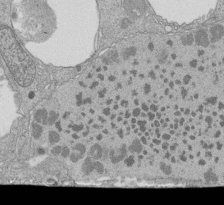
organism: Tetrahymena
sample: Cilia in tetrahymena